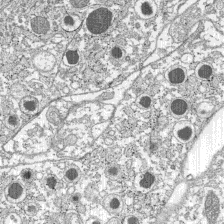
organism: C57BL Mouse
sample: Pancreatic islet